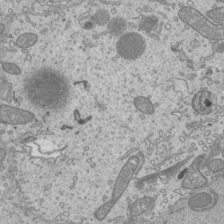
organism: Mouse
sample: Cilia; mouse epididymis